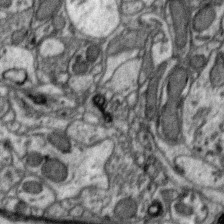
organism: Zebra finch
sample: Brain